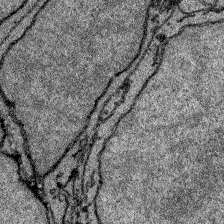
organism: Zebrafish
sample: Larval olfactory bulb